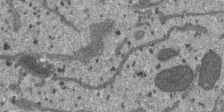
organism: Human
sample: Lung epithelial cells infected with SARS-CoV-2